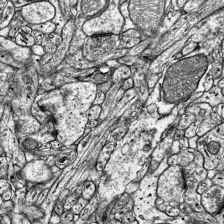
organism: Mouse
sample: Visual Cortex